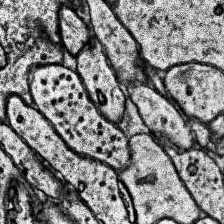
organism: Human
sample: Temporal Lobe